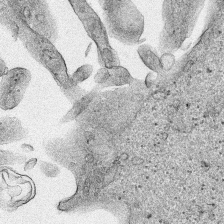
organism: Human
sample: Mitochondria in HCT116 cells